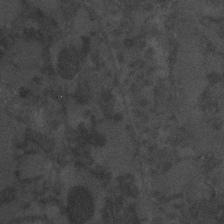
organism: C. elegans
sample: C. elegans embryo